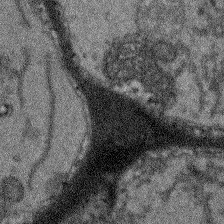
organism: Arabidopsis thaliana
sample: Root tip